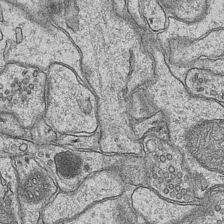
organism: Mouse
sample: CA1 Hippocampus